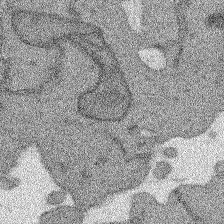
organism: Human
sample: HeLa cells